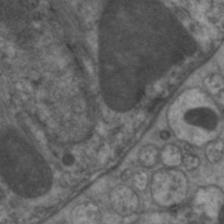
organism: C. elegans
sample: Pharynx